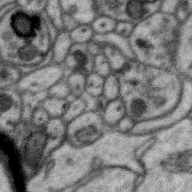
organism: Zebra finch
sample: Brain